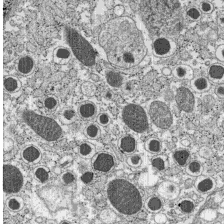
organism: C57BL Mouse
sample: Pancreatic islet